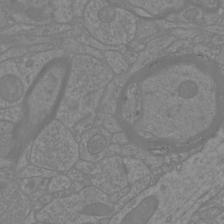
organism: Mouse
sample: Cortical neurons